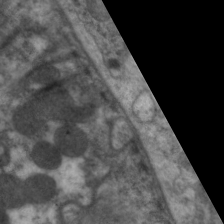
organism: C. elegans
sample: Pharynx